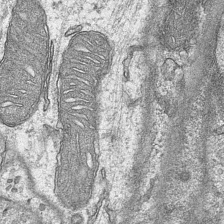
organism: Mouse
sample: CA1 Hippocampus